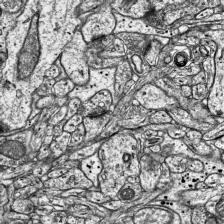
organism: Mouse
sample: Visual Cortex